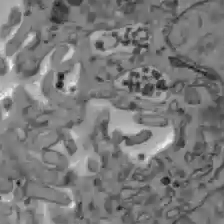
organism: C57BL Mouse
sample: Liver